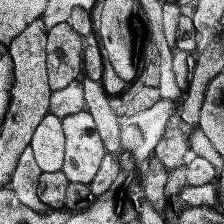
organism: Human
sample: Temporal Lobe